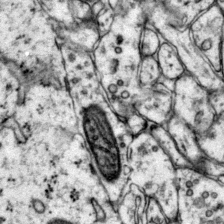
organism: Mouse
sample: Primary visual cortex